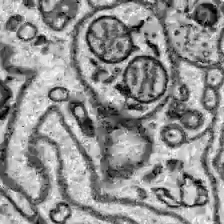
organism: Zebrafish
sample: Brain